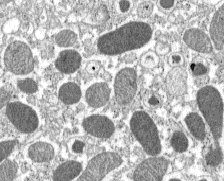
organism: C57BL Mouse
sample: Pancreatic islet